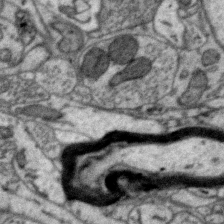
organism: Zebra finch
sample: Brain